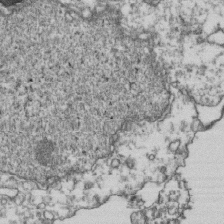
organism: Human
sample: Activated Jurkat CD4+ T cells